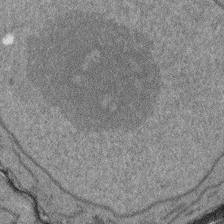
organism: Arabidopsis thaliana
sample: Root tip